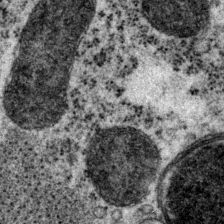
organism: P. pacificus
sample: Pharynx